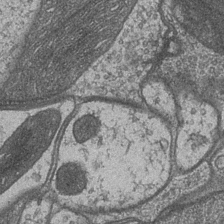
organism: Drosophila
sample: Optic medulla